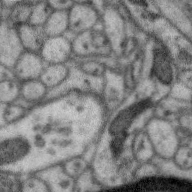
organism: Zebra finch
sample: Brain